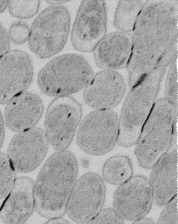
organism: E. coli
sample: Bacterial nucleoid